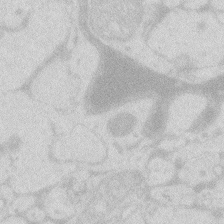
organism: Zebrafish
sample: Macrophage